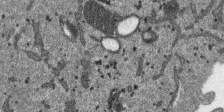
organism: Human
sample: Lung epithelial cells infected with SARS-CoV-2